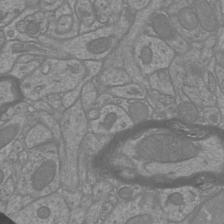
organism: Mouse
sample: Cortical neurons